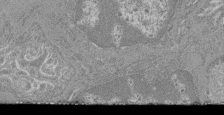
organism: Mouse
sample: Glomerulus